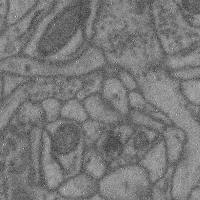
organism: Mouse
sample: Cerebral cortex